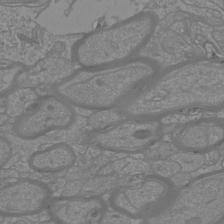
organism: Mouse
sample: Cortical neurons